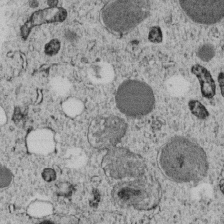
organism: C. elegans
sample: C. elegans embryo early stage